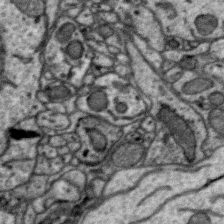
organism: Zebra finch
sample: Brain